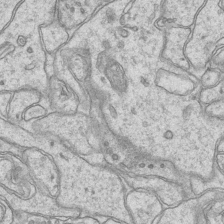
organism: Mouse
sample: CA1 Hippocampus